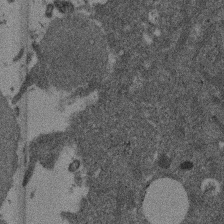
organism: Mouse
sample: Dividing mouse embryo 1 cell stage